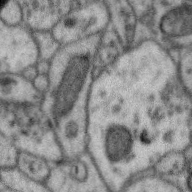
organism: Zebra finch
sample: Brain